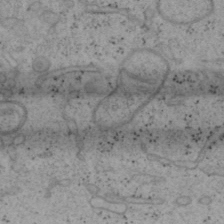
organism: Human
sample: HeLa cells